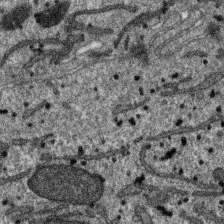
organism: Human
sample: Lung epithelial cells infected with SARS-CoV-2